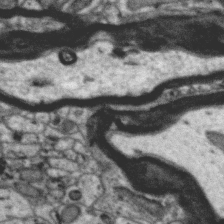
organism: Zebra finch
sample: Brain